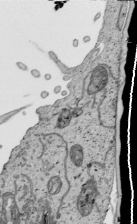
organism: Human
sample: Mitochondria in HCT116 cells